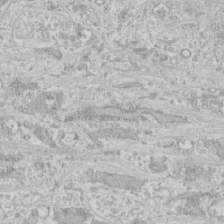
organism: Human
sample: CRL-1474